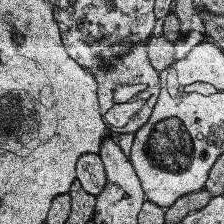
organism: Human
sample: Temporal Lobe